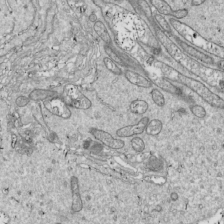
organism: Drosophila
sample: Cell division; meiosis; drosophila spermatocytes